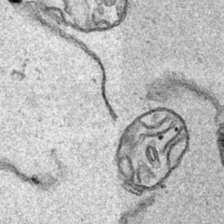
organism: Human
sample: Mitochondria in HCT116 cells